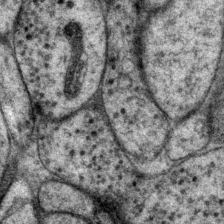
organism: P. pacificus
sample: Pharynx